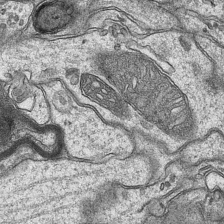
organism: Mouse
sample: CA1 Hippocampus